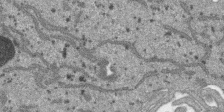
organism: Human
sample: Lung epithelial cells infected with SARS-CoV-2